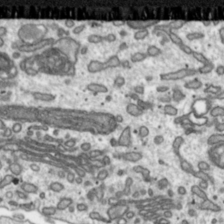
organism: Toxoplasma gondii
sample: Parasites in a vacuole inside a host cell